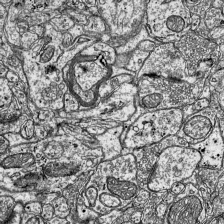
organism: Mouse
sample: Visual Cortex